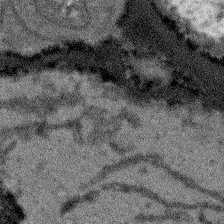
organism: Arabidopsis thaliana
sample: Root tip